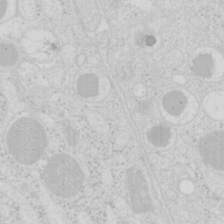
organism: Mouse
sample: Pancreas